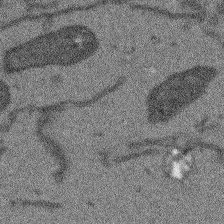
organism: Arabidopsis thaliana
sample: Root tip